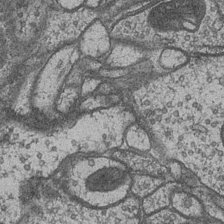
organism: Drosophila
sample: Optic medulla